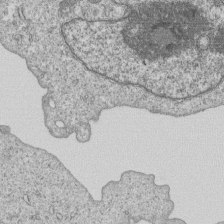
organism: Human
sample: MDA-MB-231 cells